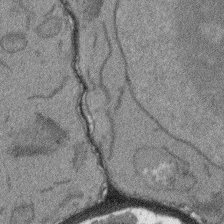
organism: Arabidopsis thaliana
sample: Root tip